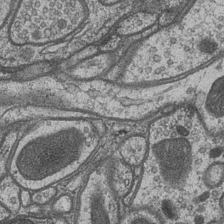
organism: Drosophila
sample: Optic medulla